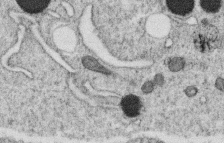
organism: C. elegans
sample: C. elegans oocyte; sperm cells